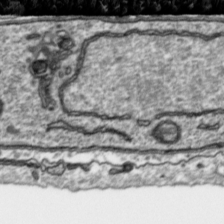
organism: Toxoplasma gondii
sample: Parasites in a vacuole inside a host cell